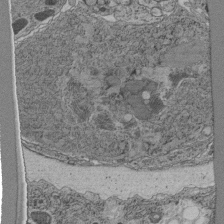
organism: C. elegans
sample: C. elegans pharynx